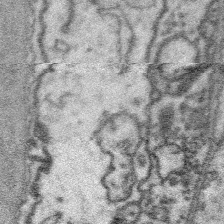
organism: Platynereis dumerilii